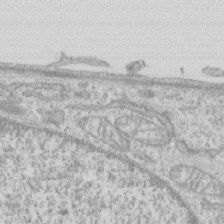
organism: Human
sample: CRL-1474